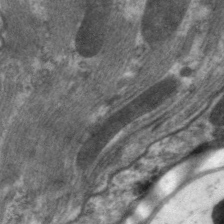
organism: C. elegans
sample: Pharynx